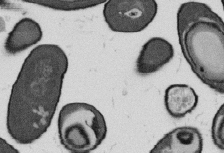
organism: B. subtilis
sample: Bacterial spore